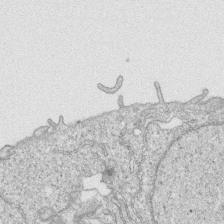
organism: Human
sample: HeLa cell HIV synapse